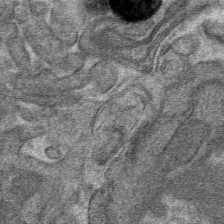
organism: Mouse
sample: Mouse hepatocytes